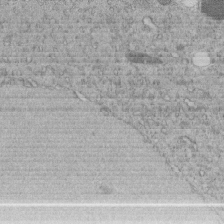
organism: C. elegans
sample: C. elegans embryo early stage